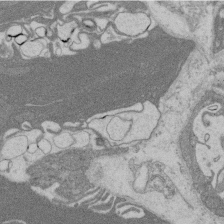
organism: Rat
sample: Salivary granule